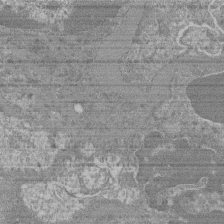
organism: Mouse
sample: Glomerulus